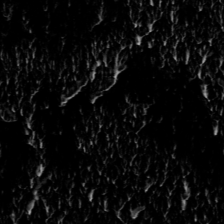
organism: Toxoplasma gondii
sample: Parasites in a vacuole inside a host cell